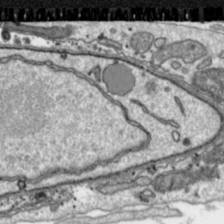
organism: Toxoplasma gondii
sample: Parasites in a vacuole inside a host cell